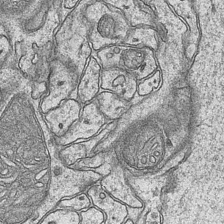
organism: Mouse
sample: CA1 Hippocampus